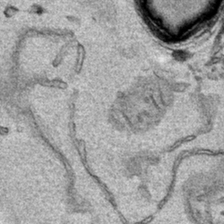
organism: Human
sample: Mitochondria in HCT116 cells